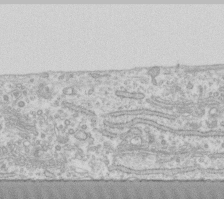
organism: Human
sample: Fibroblast cells